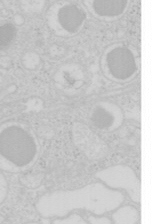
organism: Mouse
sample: Pancreas